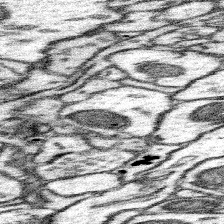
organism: Mouse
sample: Somatosensory cortex neuropil